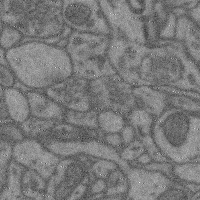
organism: Mouse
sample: Cerebral cortex